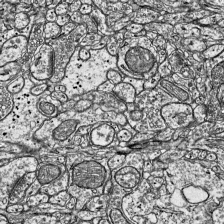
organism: Mouse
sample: Visual Cortex